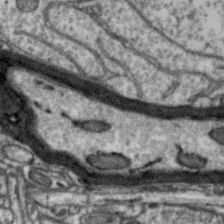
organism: Zebra finch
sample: Brain